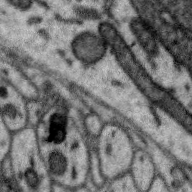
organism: Zebra finch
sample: Brain